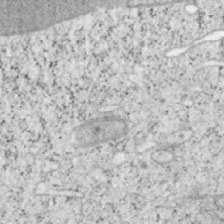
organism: Mouse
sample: OT-I killer T cells with ID8 ovarian cancer cells